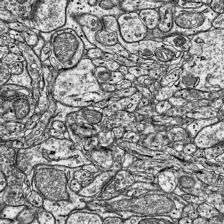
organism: Mouse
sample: Visual Cortex